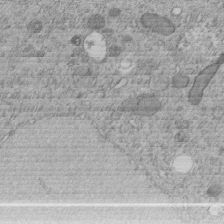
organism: C. elegans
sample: C. elegans embryo early stage